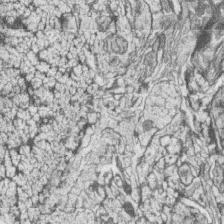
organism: Zebrafish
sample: synaptic ribbons in rod cells and cone cells